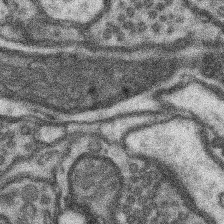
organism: Mouse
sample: Somatosensory cortex neuropil